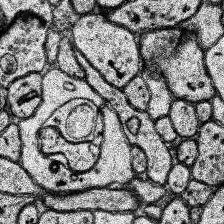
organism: Human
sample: Temporal Lobe